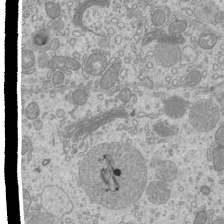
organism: Mouse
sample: Cilia; mouse epididymis